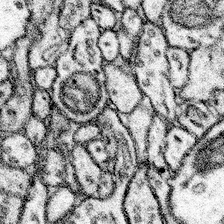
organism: Mouse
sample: Somatosensory cortex neuropil